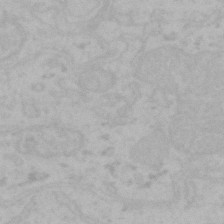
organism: Mouse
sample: Choroid plexus